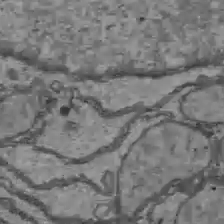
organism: C57BL Mouse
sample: Liver